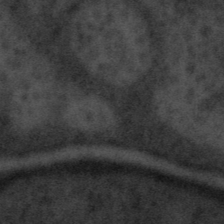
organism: Tuwongella immobilis